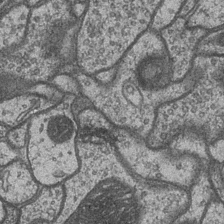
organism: Drosophila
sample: Optic medulla